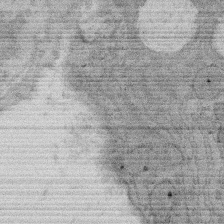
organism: Rat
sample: Salivary granule